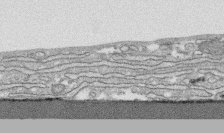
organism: Human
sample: CRL-1474